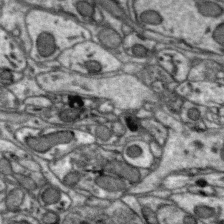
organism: Zebra finch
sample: Brain